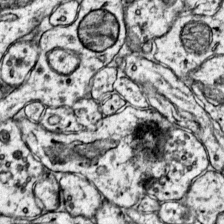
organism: Mouse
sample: Primary visual cortex